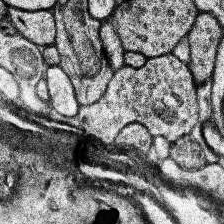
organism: Human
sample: Temporal Lobe